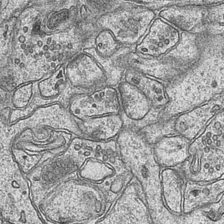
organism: Mouse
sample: CA1 Hippocampus